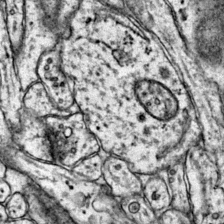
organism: Mouse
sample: Primary visual cortex